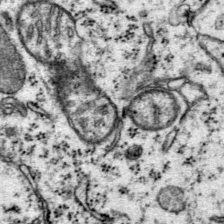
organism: Mouse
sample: Primary visual cortex